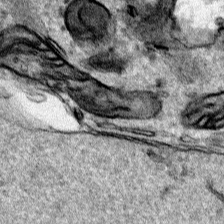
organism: Human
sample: Mitochondria in HCT116 cells